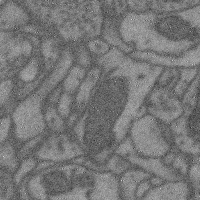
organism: Mouse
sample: Cerebral cortex